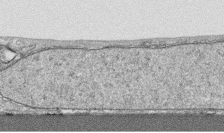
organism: Human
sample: CRL-1474